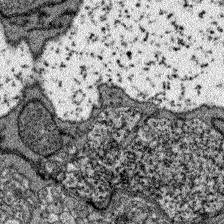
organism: Zebrafish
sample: Larval olfactory bulb